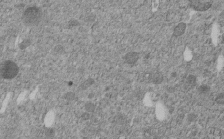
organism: C. elegans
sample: C. elegans embryo early stage